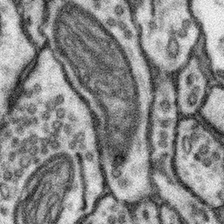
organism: Mouse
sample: Somatosensory cortex neuropil